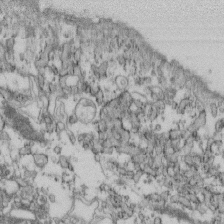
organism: Mouse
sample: Cilia; retinal pigment epithelium